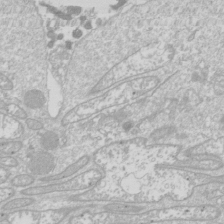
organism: Drosophila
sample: Cell division; meiosis; drosophila spermatocytes